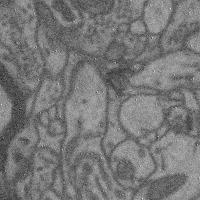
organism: Mouse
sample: Cerebral cortex